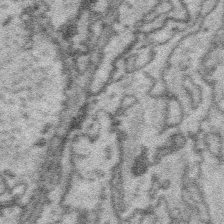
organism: Platynereis dumerilii